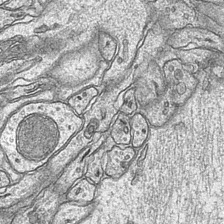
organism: Mouse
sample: CA1 Hippocampus